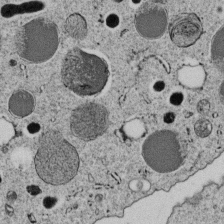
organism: C. elegans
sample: C. elegans embryo early stage